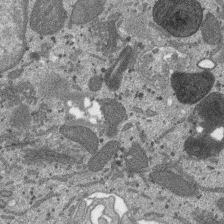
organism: Human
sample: Lung epithelial cells infected with SARS-CoV-2